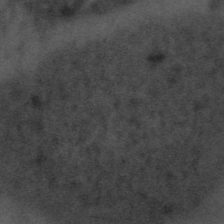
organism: Tuwongella immobilis